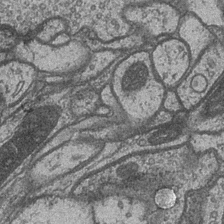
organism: Drosophila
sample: Optic medulla